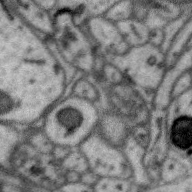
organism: Zebra finch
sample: Brain